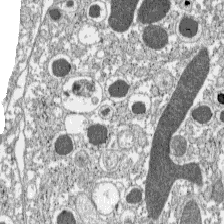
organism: C57BL Mouse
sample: Pancreatic islet